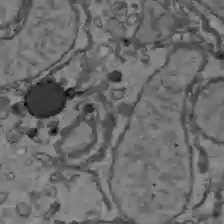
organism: C57BL Mouse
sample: Liver